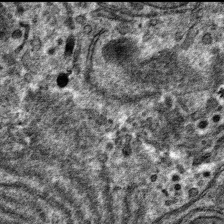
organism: Mouse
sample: Mouse hepatocytes